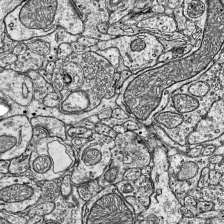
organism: Mouse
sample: Visual Cortex